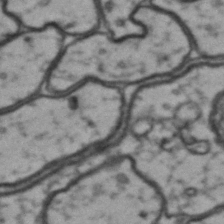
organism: Drosophila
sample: Brain